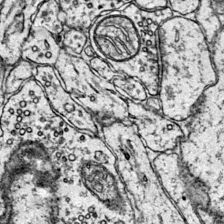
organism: Mouse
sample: Primary visual cortex